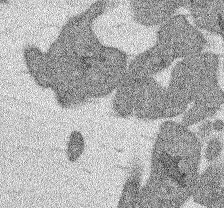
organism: Human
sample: HeLa cells